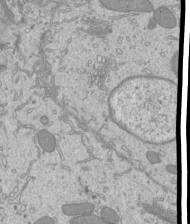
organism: Mouse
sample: Cilia; mouse epididymis